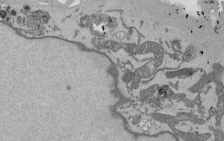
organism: Mouse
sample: ED-1 cell nuclei; centrioles